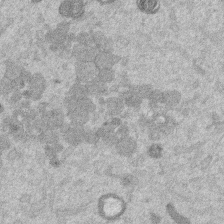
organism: Mouse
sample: Dividing mouse embryo 1 cell stage